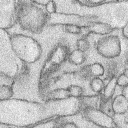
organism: Rabbit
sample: Retina